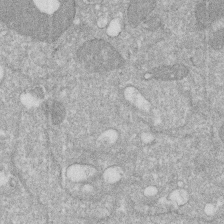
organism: Human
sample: HIV infected U937 cells